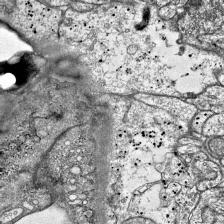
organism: Mouse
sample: Visual Cortex